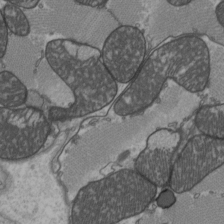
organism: C57BL Mouse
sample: Heart